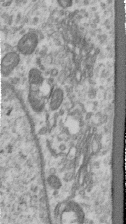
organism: Human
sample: Centriole in RPE cells